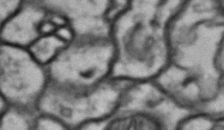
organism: Drosophila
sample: Brain